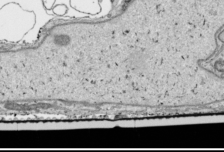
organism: Human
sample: Mitochondria in HCT116 cells